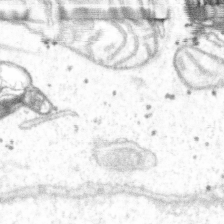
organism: Human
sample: HeLa cells